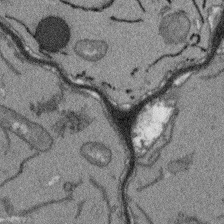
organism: Arabidopsis thaliana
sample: Root tip